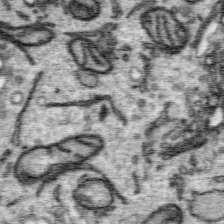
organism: Human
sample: HeLa cells